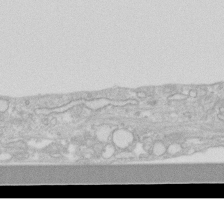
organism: Human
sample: Fibroblast cells